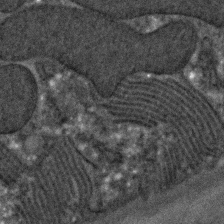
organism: C. elegans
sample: C. elegans embryo